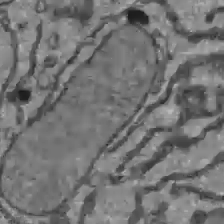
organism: C57BL Mouse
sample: Liver